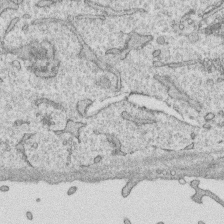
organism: Human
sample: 1205lu cells